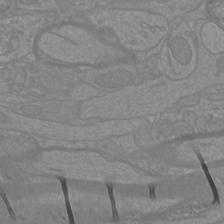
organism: Mouse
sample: Cortical neurons